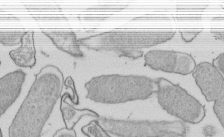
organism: E. coli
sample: Bacterial nucleoid